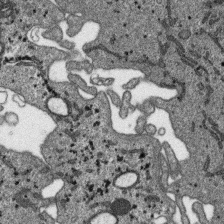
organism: Human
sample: Lung epithelial cells infected with SARS-CoV-2